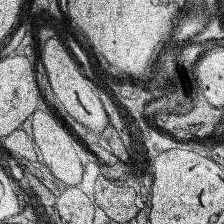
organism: Human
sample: Temporal Lobe